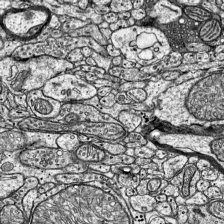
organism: Mouse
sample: Visual Cortex